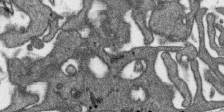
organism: Human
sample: Lung epithelial cells, uninfected (mock) control